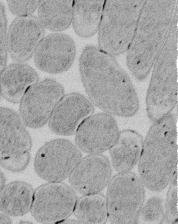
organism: E. coli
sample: Bacterial nucleoid